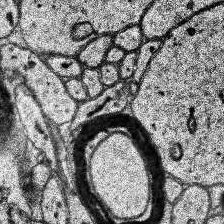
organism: Human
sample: Temporal Lobe